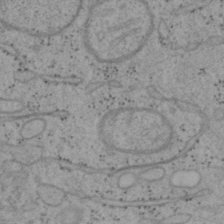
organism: Human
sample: HeLa cells